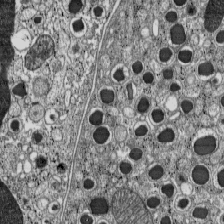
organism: C57BL Mouse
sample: Pancreatic islet